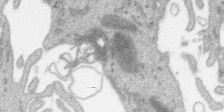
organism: Human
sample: Lung epithelial cells infected with SARS-CoV-2